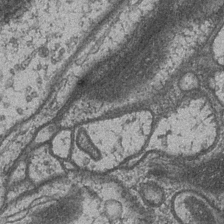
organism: Drosophila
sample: Optic medulla